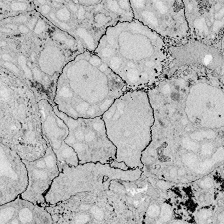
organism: Zebrafish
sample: Whole-Brain